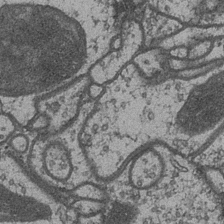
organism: Drosophila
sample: Optic medulla